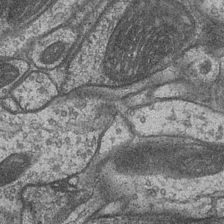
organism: Drosophila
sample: Optic medulla